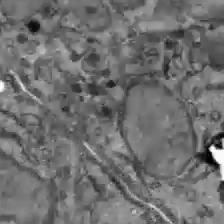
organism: C57BL Mouse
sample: Liver